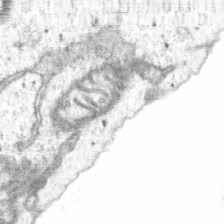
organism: Human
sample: HeLa cells